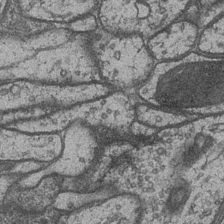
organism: Drosophila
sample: Optic medulla